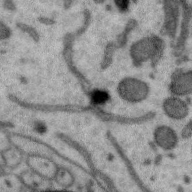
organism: Zebra finch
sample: Brain